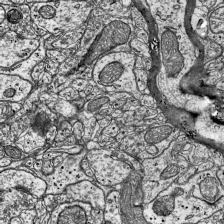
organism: Mouse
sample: Visual Cortex